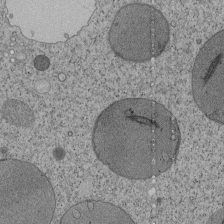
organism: Tetrahymena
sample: Cilia in tetrahymena